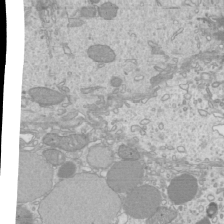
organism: Mouse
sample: Cilia; mouse epididymis